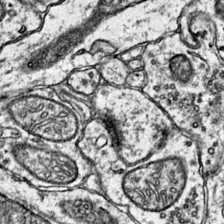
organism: Mouse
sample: Primary visual cortex